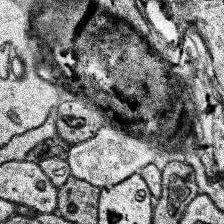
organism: Human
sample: Temporal Lobe